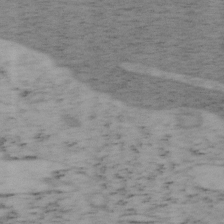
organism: Mouse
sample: OT-I killer T cells with ID8 ovarian cancer cells